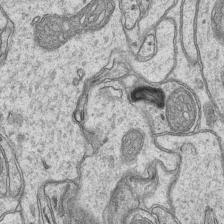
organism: Mouse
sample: CA1 Hippocampus